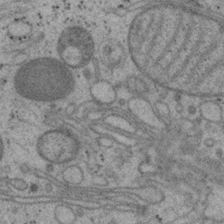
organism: Human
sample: HeLa cells